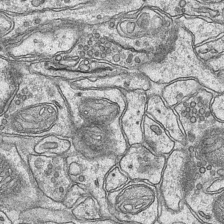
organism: Mouse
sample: CA1 Hippocampus